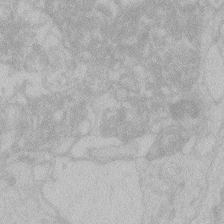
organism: Zebrafish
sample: Macrophage infected with Toxoplasma gondii